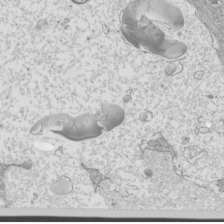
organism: Mouse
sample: Cilia; mouse epididymis